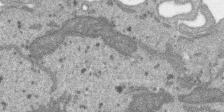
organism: Human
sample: Lung epithelial cells infected with SARS-CoV-2